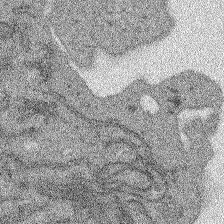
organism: Human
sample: HeLa cells